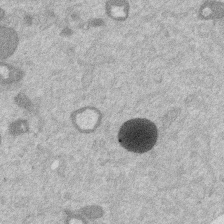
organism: Mouse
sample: Dividing mouse embryo 1 cell stage